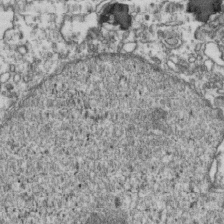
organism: Human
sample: Activated Jurkat CD4+ T cells